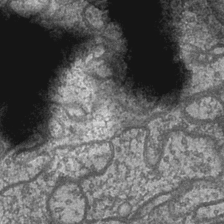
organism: Drosophila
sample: Optic medulla